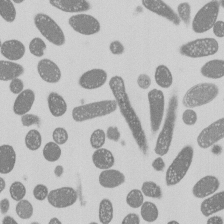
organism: E. coli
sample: Bacterial nucleoid